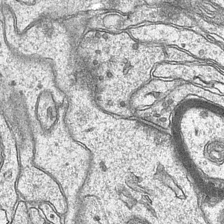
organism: Mouse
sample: CA1 Hippocampus